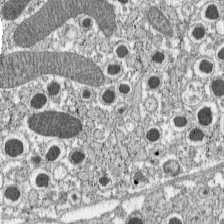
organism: C57BL Mouse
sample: Pancreatic islet